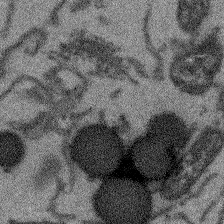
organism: Arabidopsis thaliana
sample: Root tip